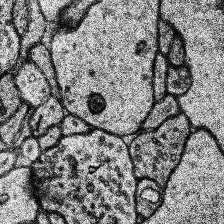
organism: Human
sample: Temporal Lobe